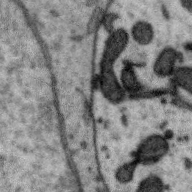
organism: Zebra finch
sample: Brain